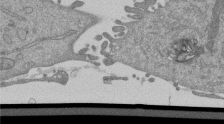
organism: Mouse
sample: ED-1 cell nuclei; centrioles